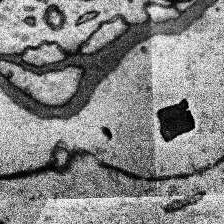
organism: Human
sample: Temporal Lobe